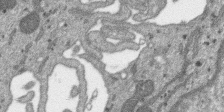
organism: Human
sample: Lung epithelial cells infected with SARS-CoV-2